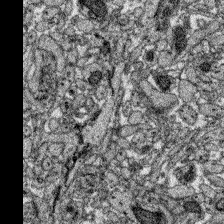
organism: Zebrafish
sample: Larval olfactory bulb